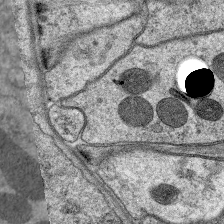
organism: C. elegans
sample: Pharynx